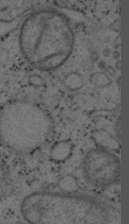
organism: Human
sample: HeLa cells